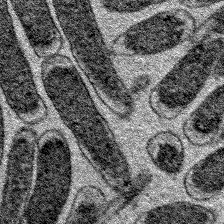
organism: E. coli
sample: E. Coli Bacteria